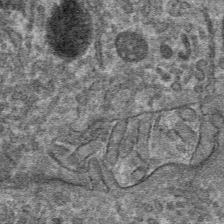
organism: Mouse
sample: Mouse hepatocytes